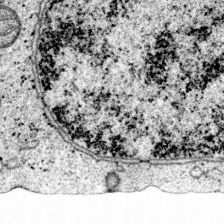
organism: Human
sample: HeLa cells